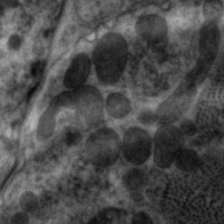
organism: C. elegans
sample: Pharynx